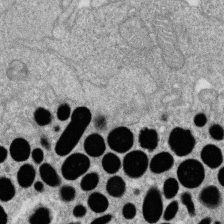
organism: Zebrafish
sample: Cilia; retinal pigment epithelium